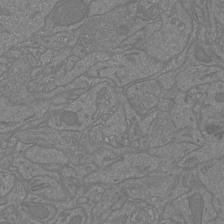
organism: Mouse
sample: Cortical neurons